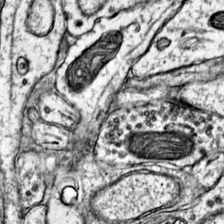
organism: Mouse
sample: Primary visual cortex